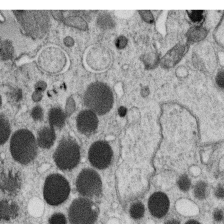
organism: C. elegans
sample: C. elegans oocyte; sperm cells